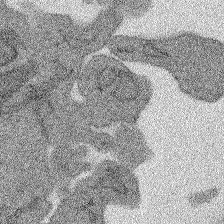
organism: Human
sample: HeLa cells